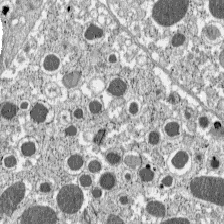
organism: C57BL Mouse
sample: Pancreatic islet